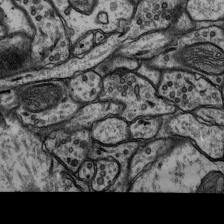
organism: Rat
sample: Hippocampus